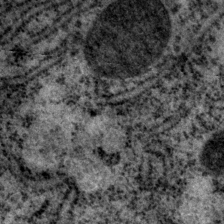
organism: P. pacificus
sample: Pharynx